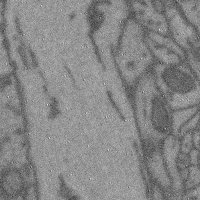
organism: Mouse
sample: Cerebral cortex